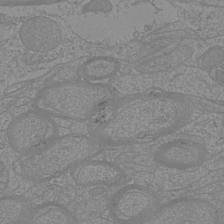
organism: Mouse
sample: Cortical neurons